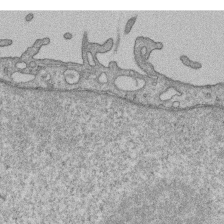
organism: Human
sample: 1205lu cells